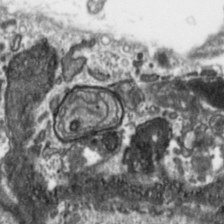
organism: Toxoplasma gondii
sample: Parasites in a vacuole inside a host cell